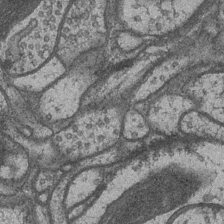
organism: Drosophila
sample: Optic medulla